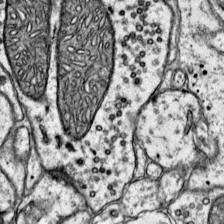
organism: Mouse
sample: Primary visual cortex